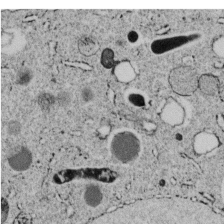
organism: C. elegans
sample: C. elegans embryo early stage